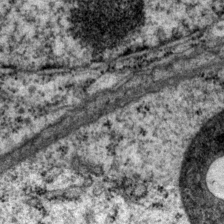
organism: P. pacificus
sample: Pharynx